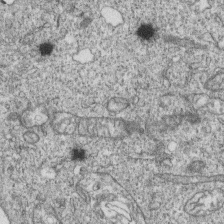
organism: Human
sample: HeLa cell HIV synapse